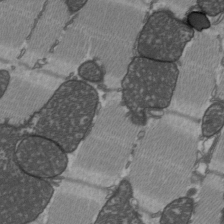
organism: C57BL Mouse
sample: Heart